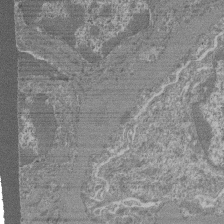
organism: Mouse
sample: Glomerulus